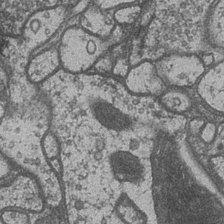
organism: Drosophila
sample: Optic medulla